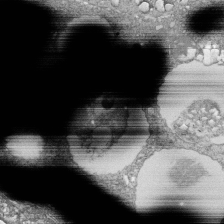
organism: Tetrahymena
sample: Cilia in tetrahymena